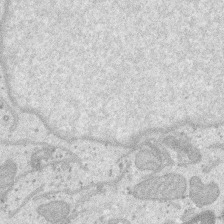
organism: Human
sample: Lung epithelial cells infected with SARS-CoV-2